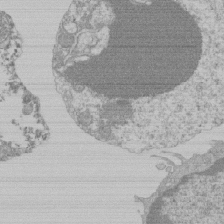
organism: Mouse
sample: Activated Pmel transgenic CD8+ T Cells